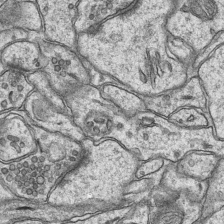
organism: Mouse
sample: CA1 Hippocampus